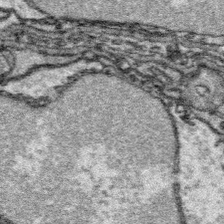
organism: Platynereis dumerilii